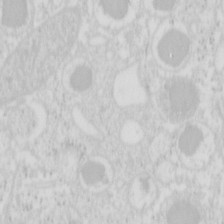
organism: Mouse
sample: Pancreas